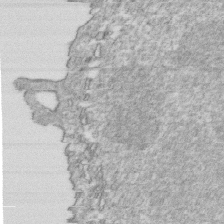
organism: Mouse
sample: Activated OT-1 CD8+ T cells